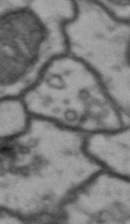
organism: Drosophila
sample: Brain